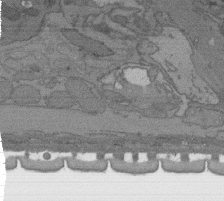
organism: C. elegans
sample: AFD neurons C. elegans